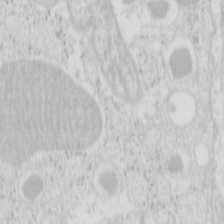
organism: Mouse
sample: Pancreas